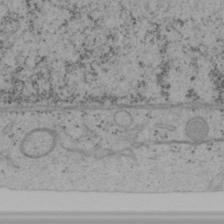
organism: Human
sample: HeLa cells